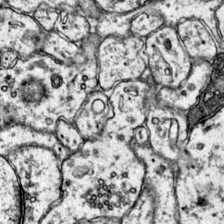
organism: Mouse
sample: Primary visual cortex